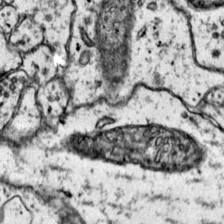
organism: Mouse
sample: Primary visual cortex